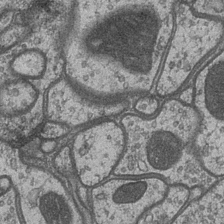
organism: Drosophila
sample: Optic medulla